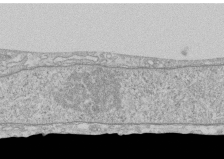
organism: Human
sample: CRL-1474